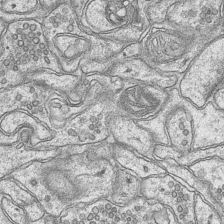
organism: Mouse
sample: CA1 Hippocampus